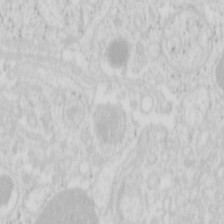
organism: Mouse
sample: Pancreas